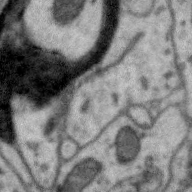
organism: Zebra finch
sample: Brain